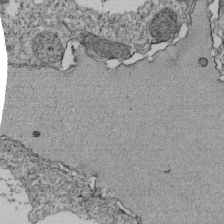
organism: Tetrahymena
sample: Cilia in tetrahymena